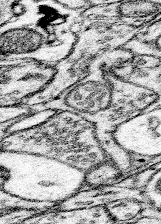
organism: Mouse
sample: Somatosensory cortex neuropil